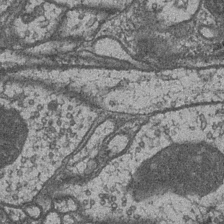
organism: Drosophila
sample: Optic medulla